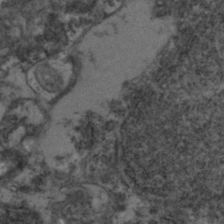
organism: Zebrafish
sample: Zebrafish embryo